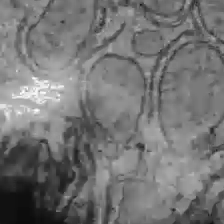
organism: C57BL Mouse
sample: Liver